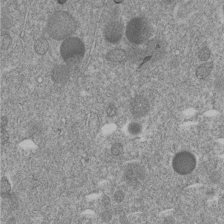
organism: C. elegans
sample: C. elegans embryo early stage